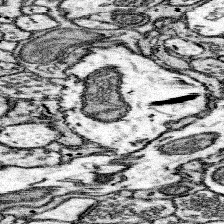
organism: Mouse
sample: Somatosensory cortex neuropil